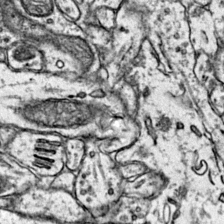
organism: Mouse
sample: Primary visual cortex